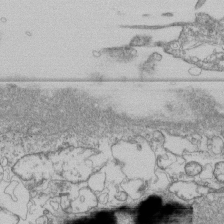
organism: Human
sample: Fibroblast cells